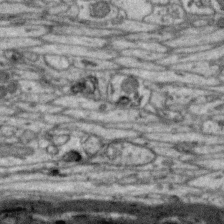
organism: Zebra finch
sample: Brain